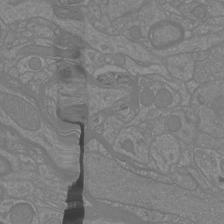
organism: Mouse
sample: Cortical neurons